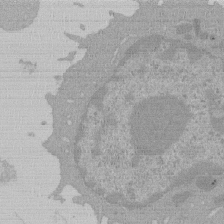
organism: Mouse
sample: Activated Pmel transgenic CD8+ T Cells